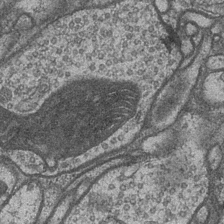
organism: Drosophila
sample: Optic medulla